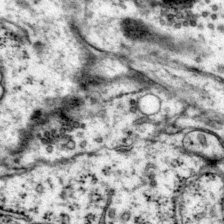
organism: Mouse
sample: Primary visual cortex